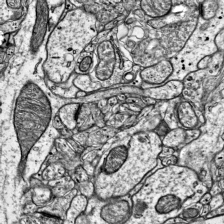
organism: Mouse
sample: Visual Cortex